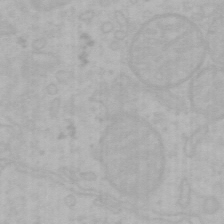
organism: Mouse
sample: Choroid plexus